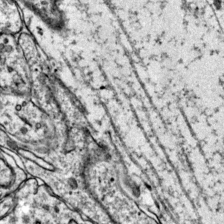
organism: Mouse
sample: Primary visual cortex